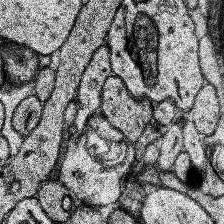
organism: Human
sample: Temporal Lobe